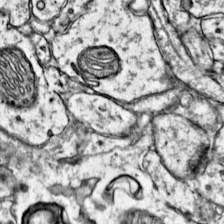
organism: Mouse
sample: Primary visual cortex